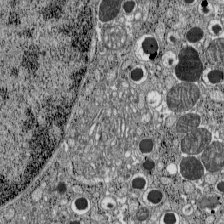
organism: C57BL Mouse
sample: Pancreatic islet